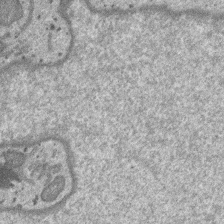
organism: Human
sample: Lung epithelial cells infected with SARS-CoV-2